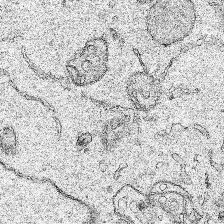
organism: Human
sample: Mitochondria in HCT116 cells